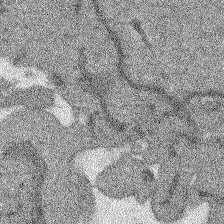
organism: Human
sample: HeLa cells